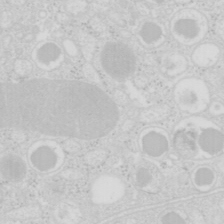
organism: Mouse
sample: Pancreas